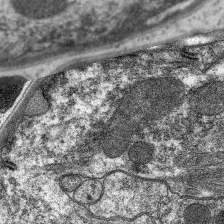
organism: C. elegans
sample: Pharynx